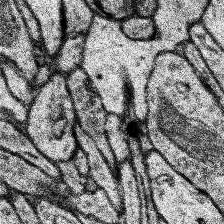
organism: Human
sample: Temporal Lobe